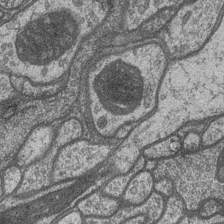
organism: Drosophila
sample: Optic medulla